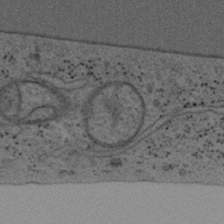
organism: Human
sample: HeLa cells